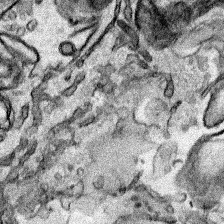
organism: Human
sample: Mitochondria in HCT116 cells